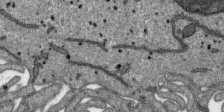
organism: Human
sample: Lung epithelial cells, uninfected (mock) control